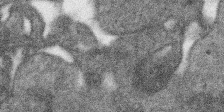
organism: Human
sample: Lung epithelial cells infected with SARS-CoV-2